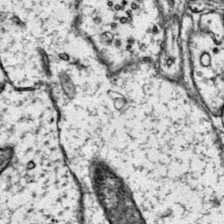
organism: Mouse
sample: Primary visual cortex